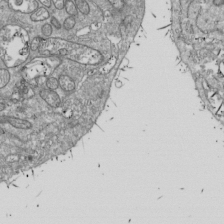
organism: Drosophila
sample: Cell division; meiosis; drosophila spermatocytes